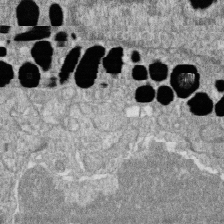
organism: Zebrafish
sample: Cilia; retinal pigment epithelium